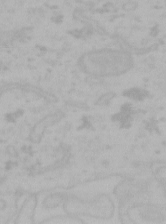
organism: Mouse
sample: Choroid plexus